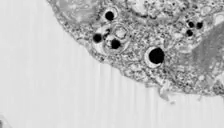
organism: Chlamydomonas reinhardtii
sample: Whole Cell